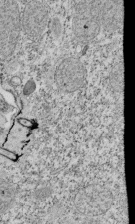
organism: Tetrahymena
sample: Cilia in tetrahymena